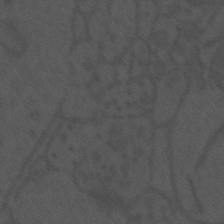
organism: Mouse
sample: Suprachiasmatic nucleus